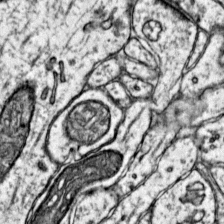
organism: Mouse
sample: Primary visual cortex